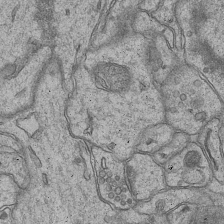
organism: Mouse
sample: CA1 Hippocampus